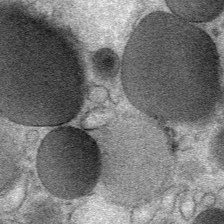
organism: Mouse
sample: Mouse Salivary gland